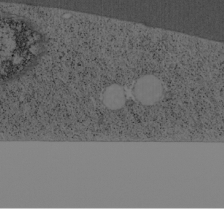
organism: African green monkey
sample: COS-7 cells